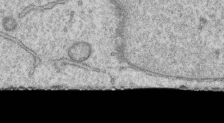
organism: Human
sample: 1205lu cells